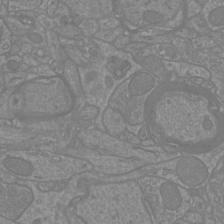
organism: Mouse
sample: Cortical neurons